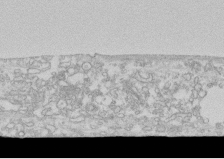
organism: Human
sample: CRL-1474